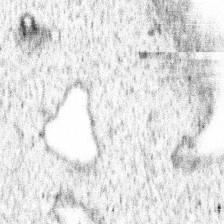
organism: Human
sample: HeLa cells